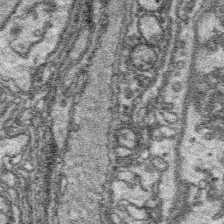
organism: Platynereis dumerilii